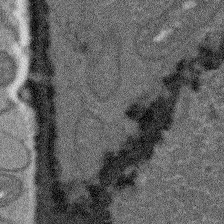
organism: Arabidopsis thaliana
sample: Root tip